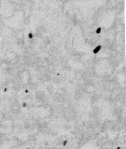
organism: Mouse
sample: T cell stromal cell synapse